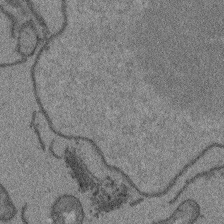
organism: Arabidopsis thaliana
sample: Root tip